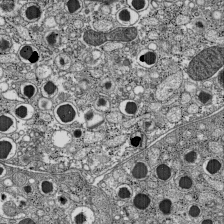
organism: C57BL Mouse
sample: Pancreatic islet